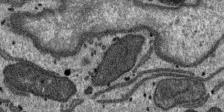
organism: Human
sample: Lung epithelial cells, uninfected (mock) control